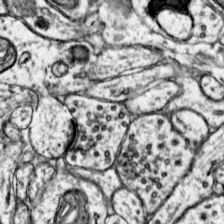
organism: Mouse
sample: Primary visual cortex